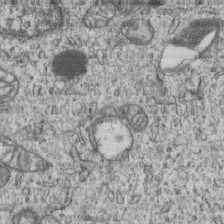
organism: Human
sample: MDA-MB-231 cells